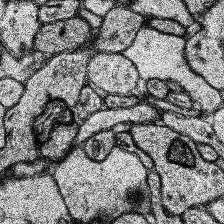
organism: Human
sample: Temporal Lobe